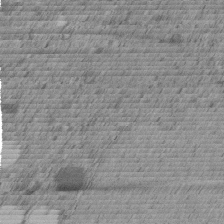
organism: C. elegans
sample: C. elegans embryo early stage